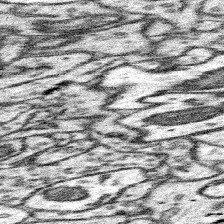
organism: Mouse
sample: Somatosensory cortex neuropil